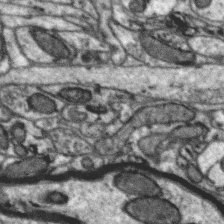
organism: Zebra finch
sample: Brain